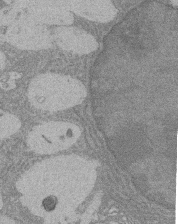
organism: Rat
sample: Salivary granule